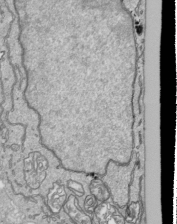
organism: Human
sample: Mitochondria in HCT116 cells